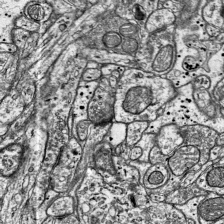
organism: Mouse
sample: Visual Cortex